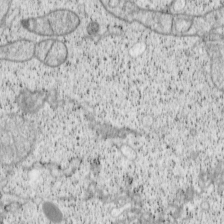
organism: African green monkey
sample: COS-7 cells